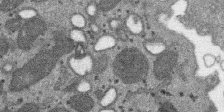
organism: Human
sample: Lung epithelial cells infected with SARS-CoV-2